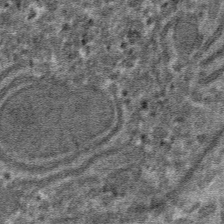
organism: Mouse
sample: Mouse hepatocytes